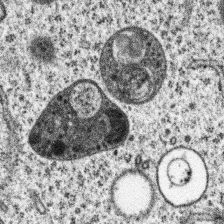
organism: Human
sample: HeLa cells